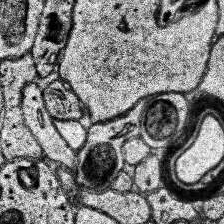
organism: Human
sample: Temporal Lobe